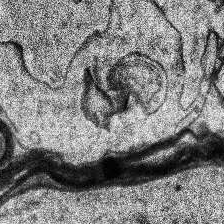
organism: Human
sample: Temporal Lobe